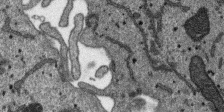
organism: Human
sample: Lung epithelial cells infected with SARS-CoV-2